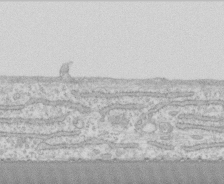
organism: Human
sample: CRL-1474